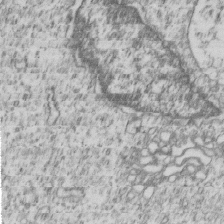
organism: Human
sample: MDA-MB-231 cells